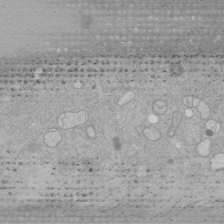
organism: Human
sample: Mitochondria in HCT116 cells